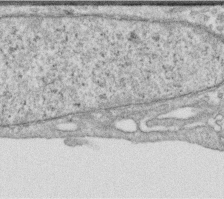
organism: Human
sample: Centriole in RPE cells